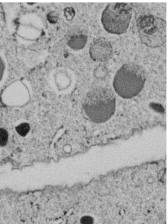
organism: C. elegans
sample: C. elegans embryo early stage